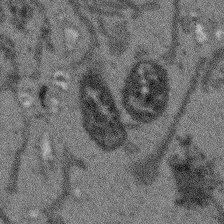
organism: Arabidopsis thaliana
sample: Root tip